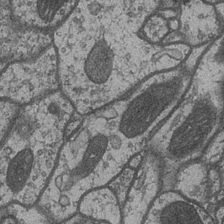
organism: Drosophila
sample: Optic medulla